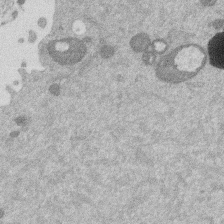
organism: Mouse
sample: Dividing mouse embryo 1 cell stage